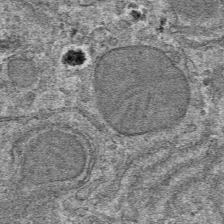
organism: Mouse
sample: Mouse hepatocytes